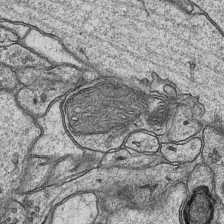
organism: Mouse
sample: CA1 Hippocampus